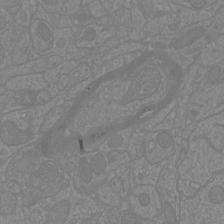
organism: Mouse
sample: Cortical neurons